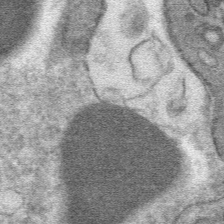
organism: Mouse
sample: Mouse hepatocytes